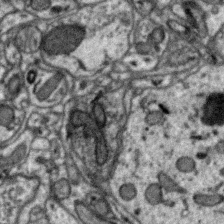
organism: Zebra finch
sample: Brain